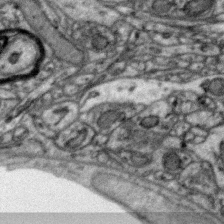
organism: Zebra finch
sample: Brain